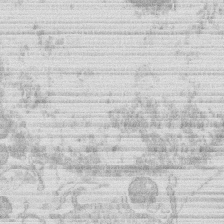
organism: Human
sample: Macrophage cells